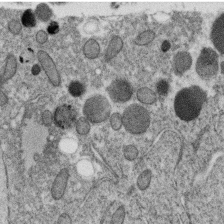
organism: C. elegans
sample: C. elegans oocyte; sperm cells